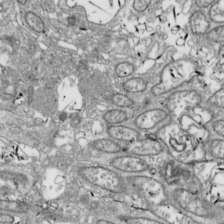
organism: Drosophila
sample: Cell division; meiosis; drosophila spermatocytes